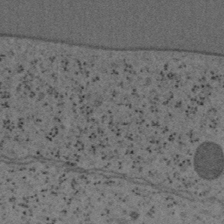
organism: Human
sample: HeLa cells